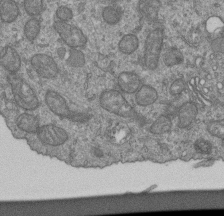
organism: Human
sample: Retinal organoid Rod and Cone cells